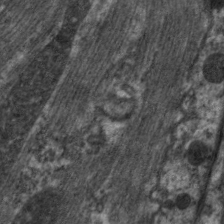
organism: C. elegans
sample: Pharynx